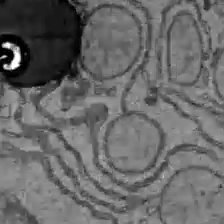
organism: C57BL Mouse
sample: Liver